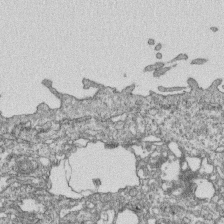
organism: Human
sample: HeLa cell HIV synapse